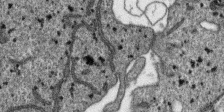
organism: Human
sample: Lung epithelial cells infected with SARS-CoV-2